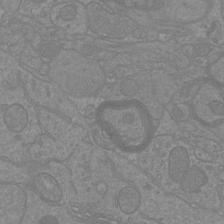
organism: Mouse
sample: Cortical neurons